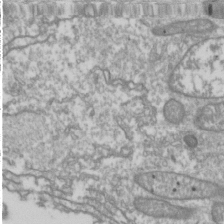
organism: Drosophila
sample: Cell division; meiosis; drosophila spermatocytes